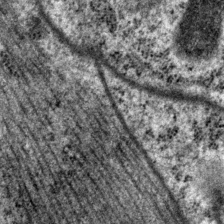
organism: P. pacificus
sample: Pharynx